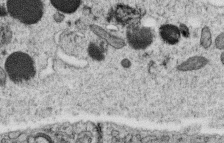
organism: C. elegans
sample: C. elegans oocyte; sperm cells